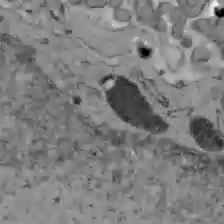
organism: C57BL Mouse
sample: Liver